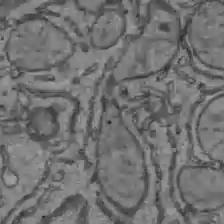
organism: C57BL Mouse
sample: Liver